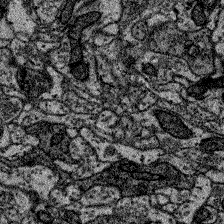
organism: Zebrafish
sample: Larval olfactory bulb